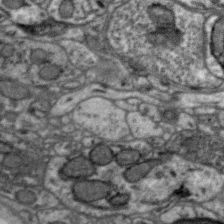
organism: Zebra finch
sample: Brain